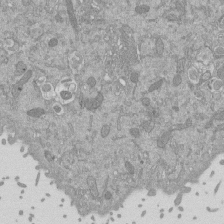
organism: Mouse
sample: ED-1 cell nuclei; centrioles